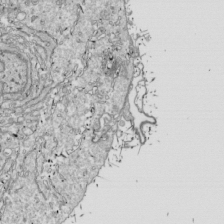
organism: Drosophila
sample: Cell division; meiosis; drosophila spermatocytes